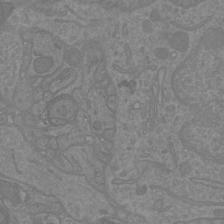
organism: Mouse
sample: Cortical neurons